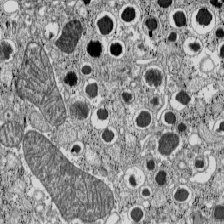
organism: C57BL Mouse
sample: Pancreatic islet